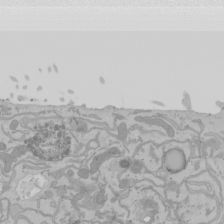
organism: Mouse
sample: Cancer cell death in ED-1 cells